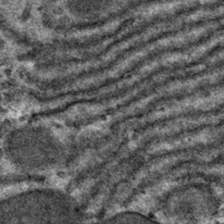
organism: Mouse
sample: Mouse hepatocytes